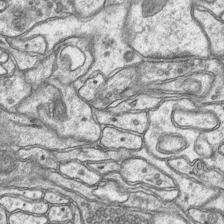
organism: Mouse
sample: CA1 Hippocampus